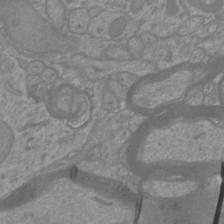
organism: Mouse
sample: Cortical neurons